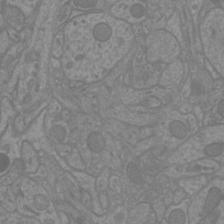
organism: Mouse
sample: Cortical neurons